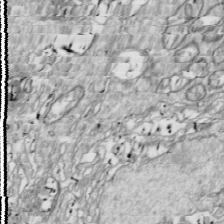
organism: Drosophila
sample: Cell division; meiosis; drosophila spermatocytes